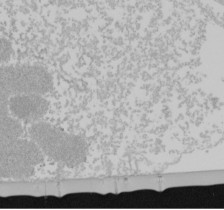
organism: Mouse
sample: Cancer cell death in ED-1 cells